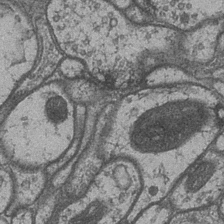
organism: Drosophila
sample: Optic medulla